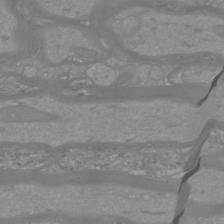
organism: Mouse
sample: Cortical neurons